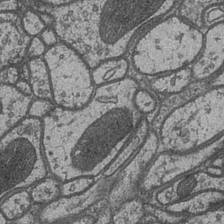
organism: Drosophila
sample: Optic medulla